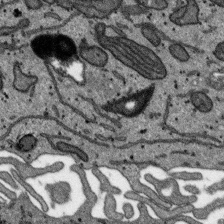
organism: Human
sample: Lung epithelial cells, uninfected (mock) control